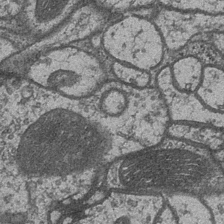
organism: Drosophila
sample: Optic medulla